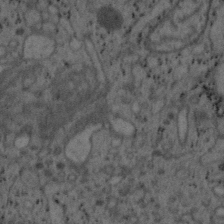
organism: Human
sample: HeLa cells